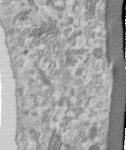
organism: Human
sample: Centriole in RPE cells